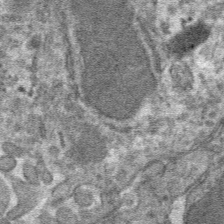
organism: Mouse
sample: Mouse hepatocytes